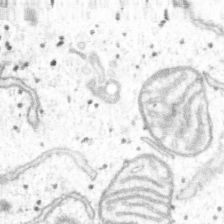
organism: Human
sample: HeLa cells